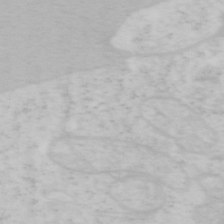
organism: Mouse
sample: OT-I killer T cells with ID8 ovarian cancer cells